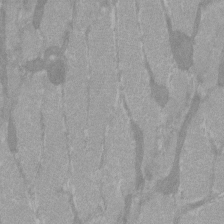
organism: C57BL Mouse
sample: Tibialis anterior muscle cell